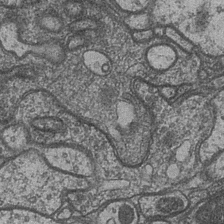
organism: Drosophila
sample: Optic medulla